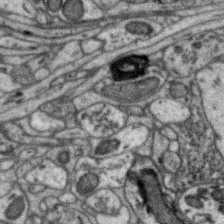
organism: Zebra finch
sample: Brain